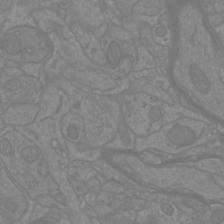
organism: Mouse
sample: Cortical neurons